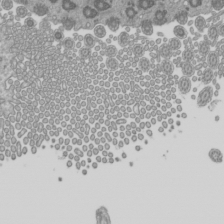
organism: Mouse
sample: Cilia; mouse epididymis